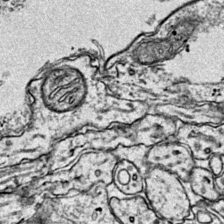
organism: Mouse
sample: Primary visual cortex